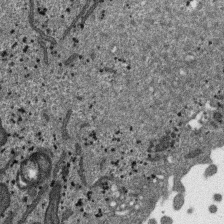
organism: Human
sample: Lung epithelial cells infected with SARS-CoV-2